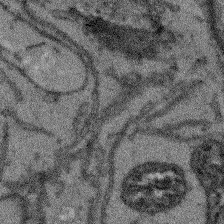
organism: Arabidopsis thaliana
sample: Root tip